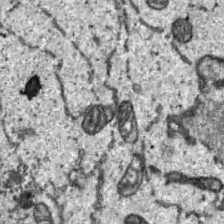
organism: Human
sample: HeLa cells